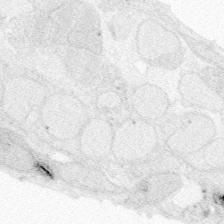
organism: Zebrafish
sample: Whole-Brain